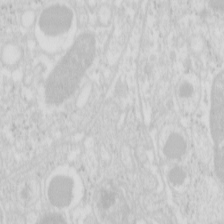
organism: Mouse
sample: Pancreas